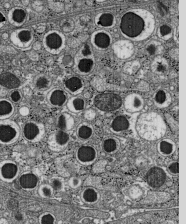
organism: C57BL Mouse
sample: Pancreatic islet